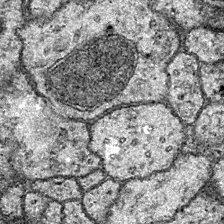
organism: Drosophila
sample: Ventral Nerve Cord